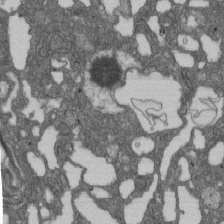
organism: Drosophila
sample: Nephrocyte